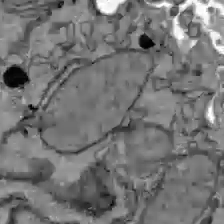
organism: C57BL Mouse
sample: Liver